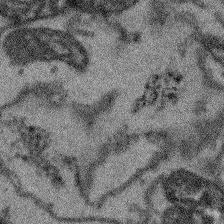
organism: Arabidopsis thaliana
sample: Root tip